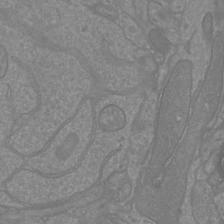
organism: Mouse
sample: Cortical neurons